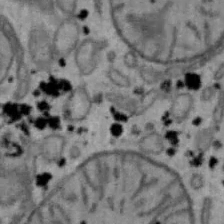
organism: Mouse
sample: Liver